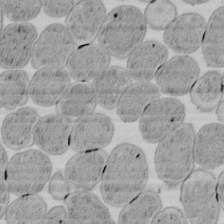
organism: E. coli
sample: Bacterial nucleoid